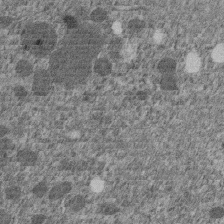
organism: C. elegans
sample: C. elegans embryo early stage